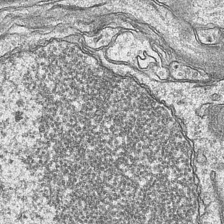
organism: Mouse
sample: CA1 Hippocampus